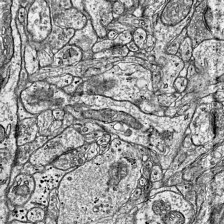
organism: Mouse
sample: Visual Cortex